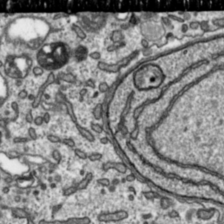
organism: Toxoplasma gondii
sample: Parasites in a vacuole inside a host cell